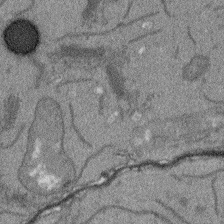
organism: Arabidopsis thaliana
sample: Root tip